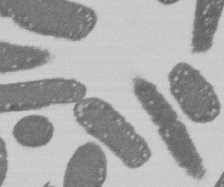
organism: E. coli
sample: Bacterial nucleoid